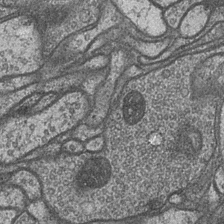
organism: Drosophila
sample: Optic medulla